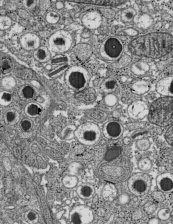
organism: C57BL Mouse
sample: Pancreatic islet